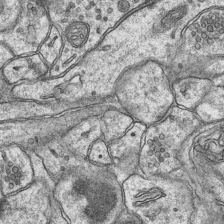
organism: Mouse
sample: CA1 Hippocampus